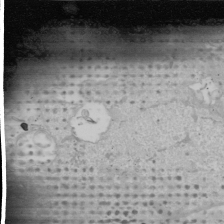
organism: Human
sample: Mitochondria in U2OS cells